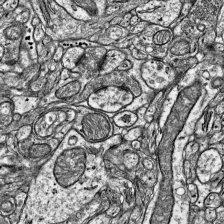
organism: Mouse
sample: Visual Cortex